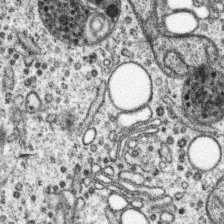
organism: Human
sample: HeLa cells